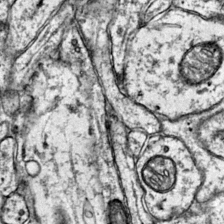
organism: Mouse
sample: Primary visual cortex